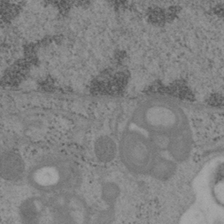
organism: Mouse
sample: OT-I killer T cells with ID8 ovarian cancer cells